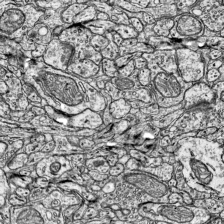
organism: Mouse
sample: Visual Cortex